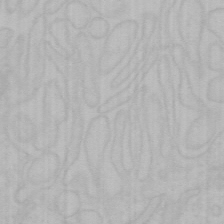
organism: Mouse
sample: Choroid plexus